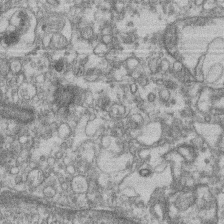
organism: Mouse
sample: T cell stromal cell synapse